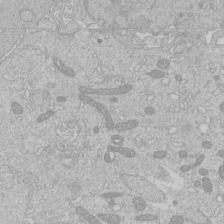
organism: Human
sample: Macrophage cells